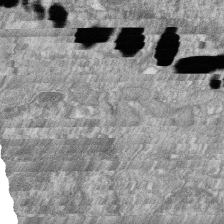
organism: Zebrafish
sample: Cilia; retinal pigment epithelium